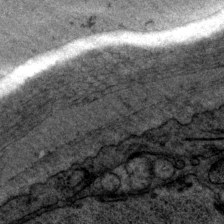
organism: P. pacificus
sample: Pharynx